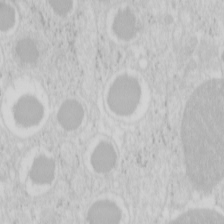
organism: Mouse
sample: Pancreas